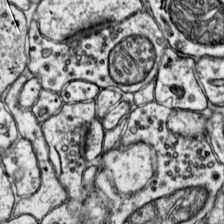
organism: Mouse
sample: Primary visual cortex